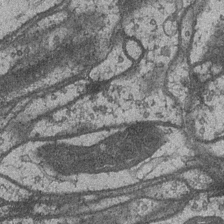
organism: Drosophila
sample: Optic medulla